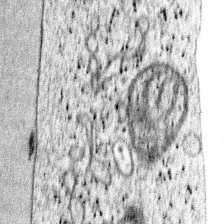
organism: Human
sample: HeLa cells